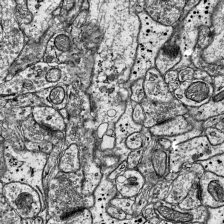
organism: Mouse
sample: Visual Cortex